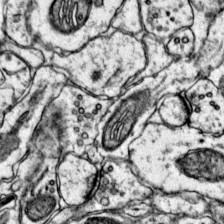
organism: Mouse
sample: Primary visual cortex